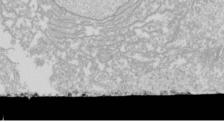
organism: Drosophila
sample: Cell division; meiosis; drosophila spermatocytes